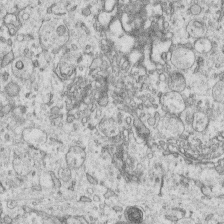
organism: Human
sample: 1205lu cells